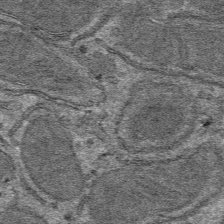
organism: Mouse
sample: Mouse hepatocytes